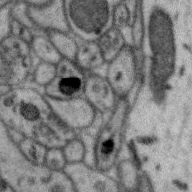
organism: Zebra finch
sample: Brain